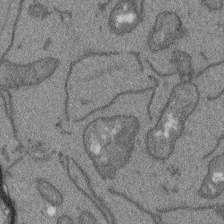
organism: Arabidopsis thaliana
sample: Root tip